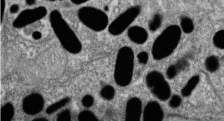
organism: Zebrafish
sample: Cilia; retinal pigment epithelium